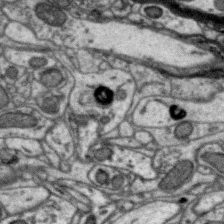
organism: Zebra finch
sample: Brain